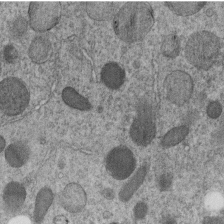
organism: C. elegans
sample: C. elegans embryo early stage